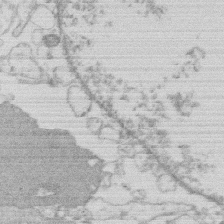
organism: Human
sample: Macrophage cells